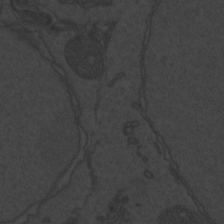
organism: Zebrafish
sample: Macrophage infected with Toxoplasma gondii